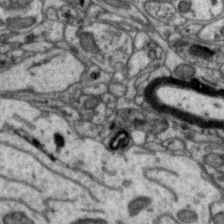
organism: Zebra finch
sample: Brain